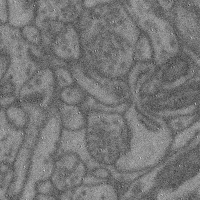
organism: Mouse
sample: Cerebral cortex